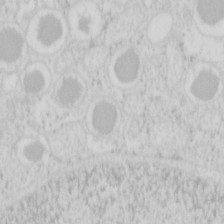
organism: Mouse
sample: Pancreas